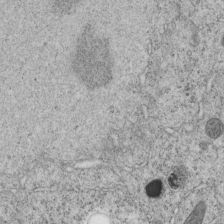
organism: C. elegans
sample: C. elegans embryo early stage